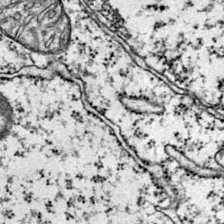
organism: Mouse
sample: Primary visual cortex